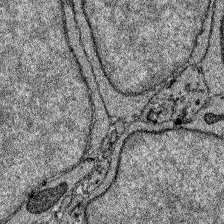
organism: Zebrafish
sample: Larval olfactory bulb